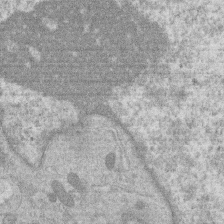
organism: Human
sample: Macrophage cells